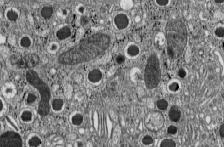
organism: C57BL Mouse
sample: Pancreatic islet